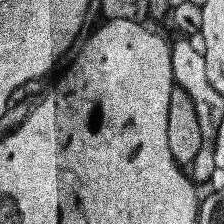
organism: Human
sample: Temporal Lobe